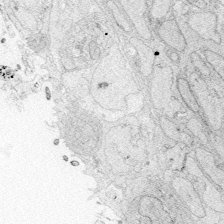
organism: Zebrafish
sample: Whole-Brain